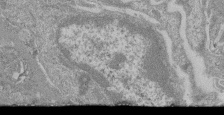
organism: Mouse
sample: Glomerulus